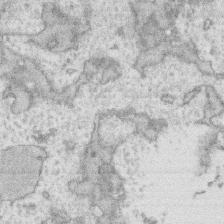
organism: Human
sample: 1205lu cells